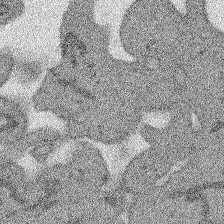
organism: Human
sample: HeLa cells